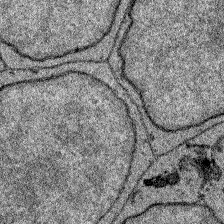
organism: Zebrafish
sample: Larval olfactory bulb